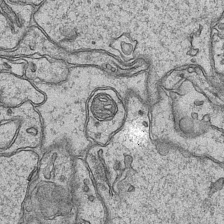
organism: Mouse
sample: CA1 Hippocampus